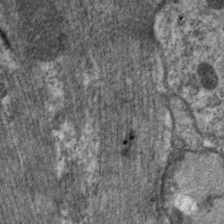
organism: C. elegans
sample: Pharynx